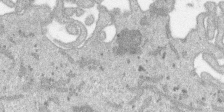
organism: Human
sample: Lung epithelial cells infected with SARS-CoV-2